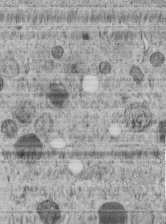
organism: C. elegans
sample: C. elegans embryo early stage